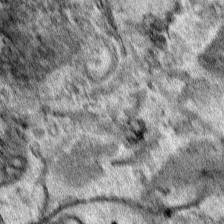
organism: Human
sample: Mitochondria in HCT116 cells